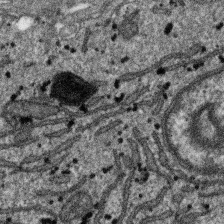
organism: Human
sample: Lung epithelial cells infected with SARS-CoV-2